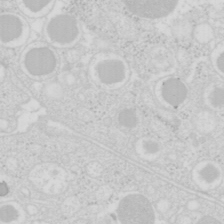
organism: Mouse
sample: Pancreas